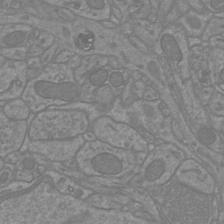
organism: Mouse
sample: Cortical neurons